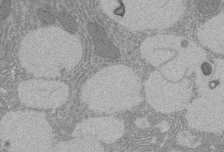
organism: Rat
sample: Salivary granule